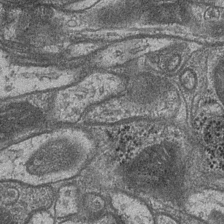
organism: Drosophila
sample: Optic medulla